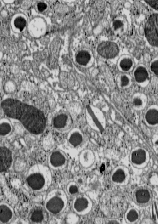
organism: C57BL Mouse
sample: Pancreatic islet